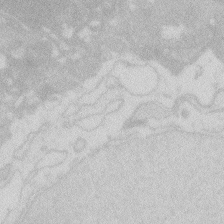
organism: Zebrafish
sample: Macrophage